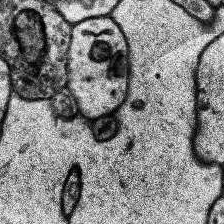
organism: Human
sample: Temporal Lobe